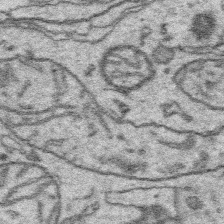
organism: Platynereis dumerilii